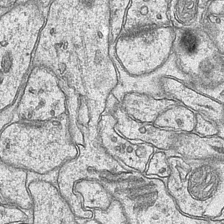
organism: Mouse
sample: CA1 Hippocampus